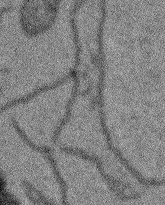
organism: Arabidopsis thaliana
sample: Root tip